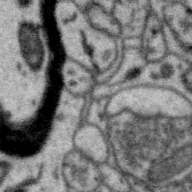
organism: Zebra finch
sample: Brain